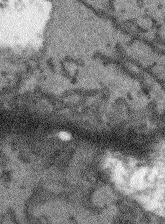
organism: Arabidopsis thaliana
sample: Root tip